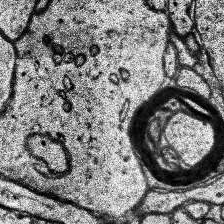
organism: Human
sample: Temporal Lobe